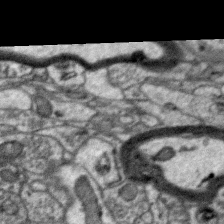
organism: Zebra finch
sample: Brain